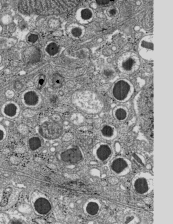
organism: C57BL Mouse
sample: Pancreatic islet